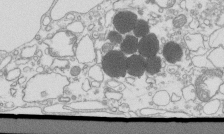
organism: Mouse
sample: Macrophages